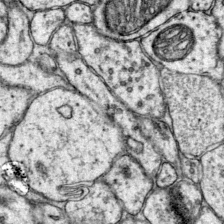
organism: Mouse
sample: Primary visual cortex